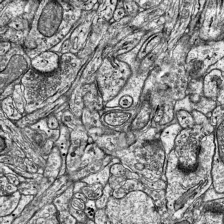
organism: Mouse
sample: Visual Cortex